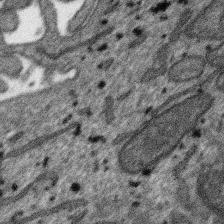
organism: Human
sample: Lung epithelial cells infected with SARS-CoV-2